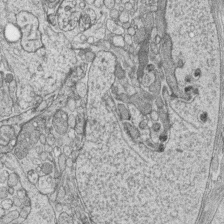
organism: Zebrafish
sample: synaptic ribbons in rod cells and cone cells